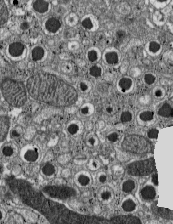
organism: C57BL Mouse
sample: Pancreatic islet